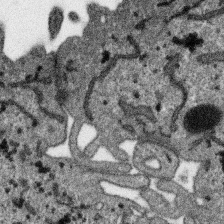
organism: Human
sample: Lung epithelial cells infected with SARS-CoV-2